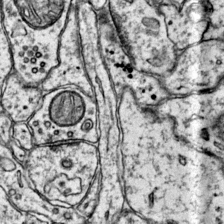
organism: Mouse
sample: Primary visual cortex